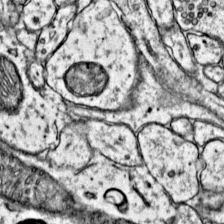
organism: Mouse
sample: Primary visual cortex